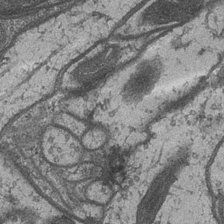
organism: Drosophila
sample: Optic medulla